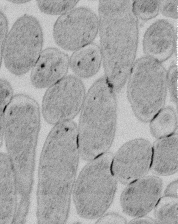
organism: E. coli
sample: Bacterial nucleoid